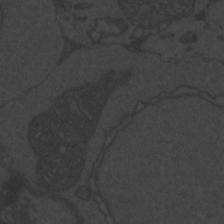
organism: Zebrafish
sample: Macrophage infected with Toxoplasma gondii